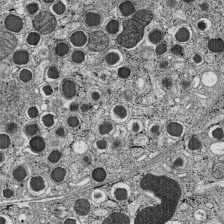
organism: C57BL Mouse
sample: Pancreatic islet